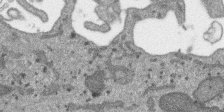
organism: Human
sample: Lung epithelial cells infected with SARS-CoV-2